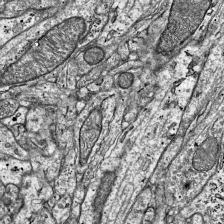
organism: Mouse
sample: Visual Cortex